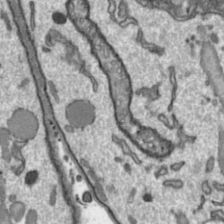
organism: Toxoplasma gondii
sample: Parasites in a vacuole inside a host cell